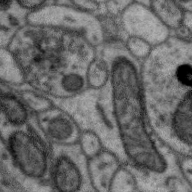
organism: Zebra finch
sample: Brain